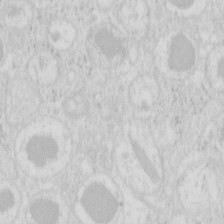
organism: Mouse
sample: Pancreas